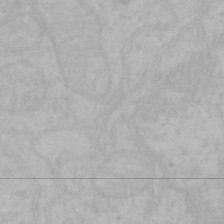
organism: Mouse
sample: Choroid plexus